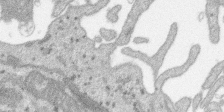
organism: Human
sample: Lung epithelial cells infected with SARS-CoV-2